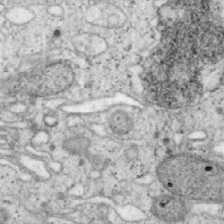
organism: Mouse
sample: OT-I killer T cells with ID8 ovarian cancer cells